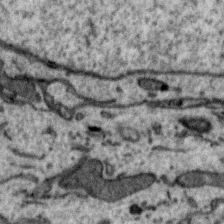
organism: Zebra finch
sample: Brain